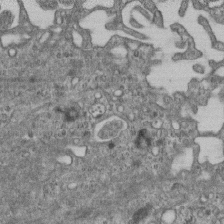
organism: Mouse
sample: Centriole in ependymal cells